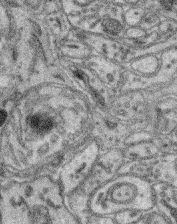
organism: Mouse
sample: Retina